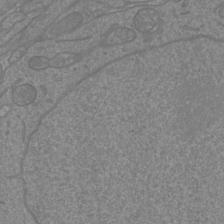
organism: Mouse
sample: Cortical neurons